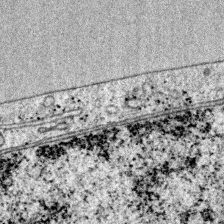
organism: Human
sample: HeLa cells